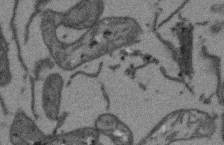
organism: Arabidopsis thaliana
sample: Root tip